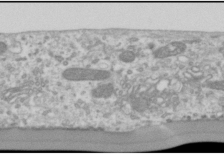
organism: Human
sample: Cilia; basal body in RPE cells